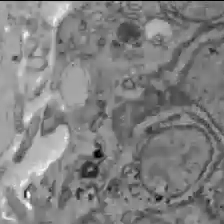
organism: C57BL Mouse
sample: Liver